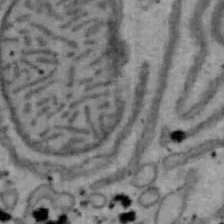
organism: Mouse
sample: Liver